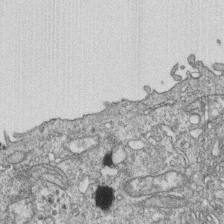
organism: Human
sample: HeLa cell HIV synapse